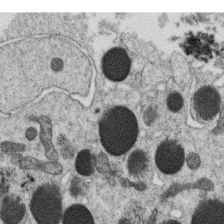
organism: C. elegans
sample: C. elegans oocyte; sperm cells